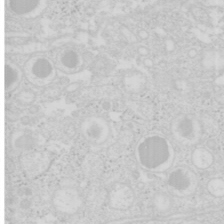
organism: Mouse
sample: Pancreas